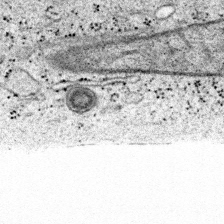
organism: Human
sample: HeLa cells